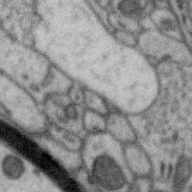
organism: Zebra finch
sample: Brain